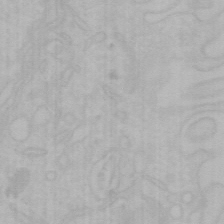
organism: Mouse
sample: Choroid plexus